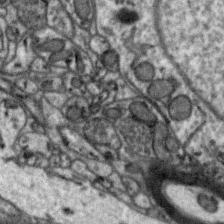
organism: Zebra finch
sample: Brain